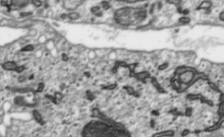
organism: Toxoplasma gondii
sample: Parasites in a vacuole inside a host cell